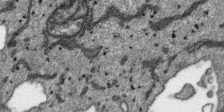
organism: Human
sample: Lung epithelial cells, uninfected (mock) control